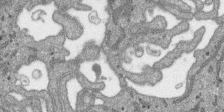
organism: Human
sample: Lung epithelial cells infected with SARS-CoV-2